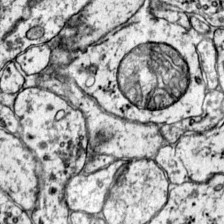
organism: Mouse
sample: Primary visual cortex